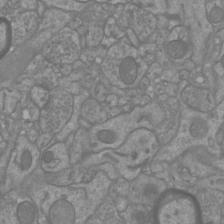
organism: Mouse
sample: Cortical neurons